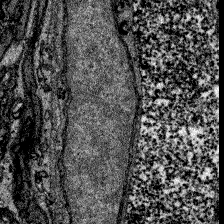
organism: Zebrafish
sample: Larval olfactory bulb